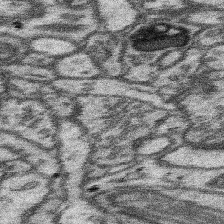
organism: Mouse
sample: Somatosensory cortex neuropil